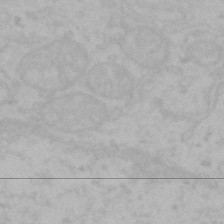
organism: Mouse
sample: Choroid plexus